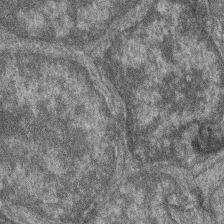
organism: Zebrafish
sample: Cilia; retinal pigment epithelium